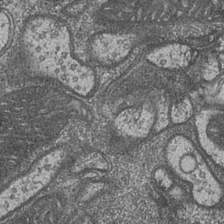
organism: Drosophila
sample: Optic medulla